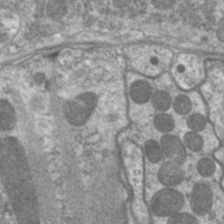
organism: C. elegans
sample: Pharynx